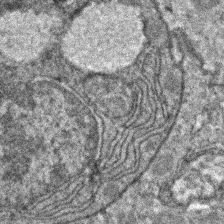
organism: Zebrafish